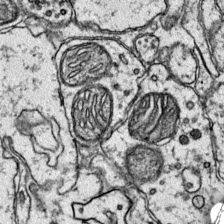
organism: Mouse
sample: Primary visual cortex